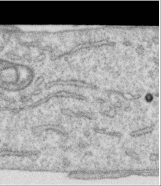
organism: Human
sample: Centriole in RPE cells